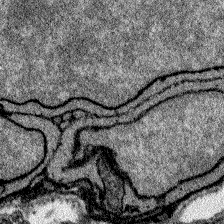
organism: Zebrafish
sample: Larval olfactory bulb